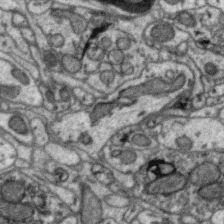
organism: Zebra finch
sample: Brain